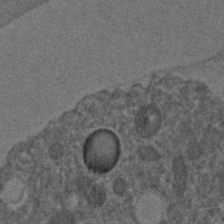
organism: C. elegans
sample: C. elegans embryo